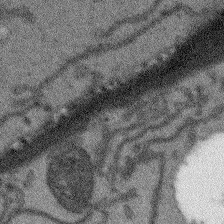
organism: Arabidopsis thaliana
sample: Root tip